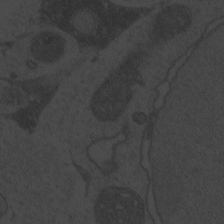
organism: Zebrafish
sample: Macrophage infected with Toxoplasma gondii